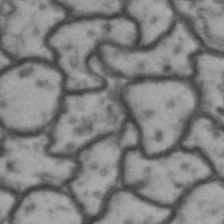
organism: Drosophila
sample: Brain